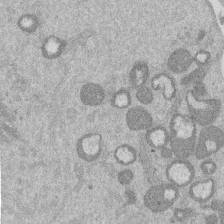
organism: Mouse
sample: Dividing mouse embryo 1 cell stage